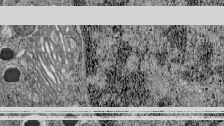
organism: C57BL Mouse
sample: Pancreatic islet